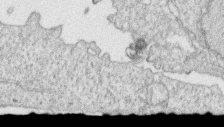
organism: Human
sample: HeLa cell HIV synapse